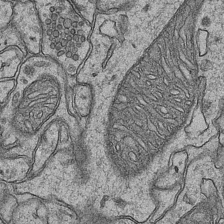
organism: Mouse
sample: CA1 Hippocampus